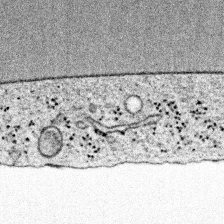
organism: Human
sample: HeLa cells